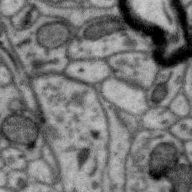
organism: Zebra finch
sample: Brain